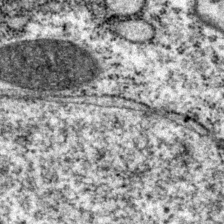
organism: P. pacificus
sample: Pharynx